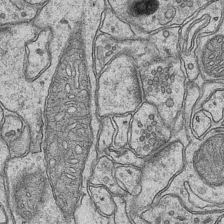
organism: Mouse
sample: CA1 Hippocampus